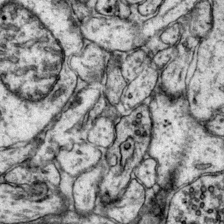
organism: Mouse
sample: Primary visual cortex